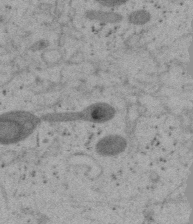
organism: Human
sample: HeLa cells